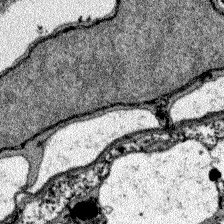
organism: Zebrafish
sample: Larval olfactory bulb